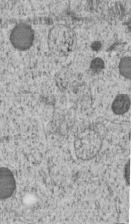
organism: C. elegans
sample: C. elegans embryo early stage